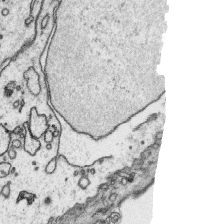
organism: Platynereis dumerilii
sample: Parapodia